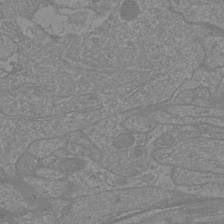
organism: Mouse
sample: Cortical neurons